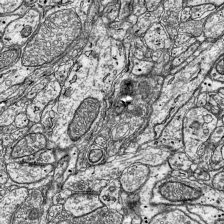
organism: Mouse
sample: Visual Cortex